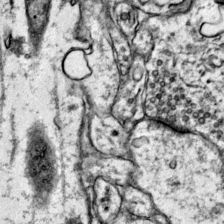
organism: Mouse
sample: Primary visual cortex